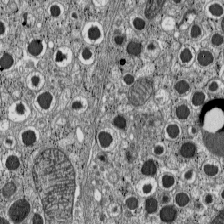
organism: C57BL Mouse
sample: Pancreatic islet